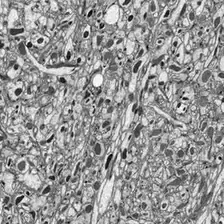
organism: Drosophila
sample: Optic lobe